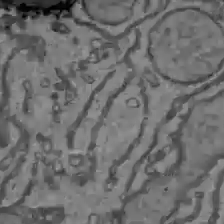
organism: C57BL Mouse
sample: Liver